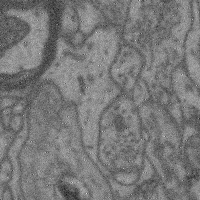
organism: Mouse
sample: Cerebral cortex